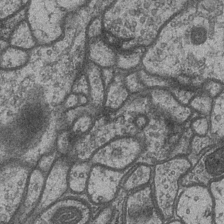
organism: Drosophila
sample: Optic medulla